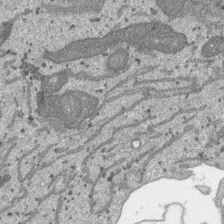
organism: Human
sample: Lung epithelial cells infected with SARS-CoV-2